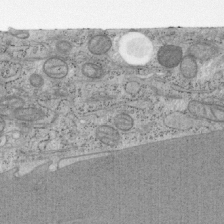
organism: Human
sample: HeLa cells